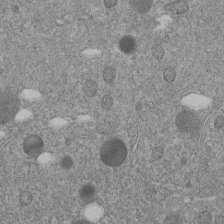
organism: C. elegans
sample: C. elegans embryo early stage